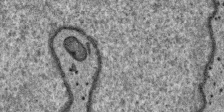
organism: Human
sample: Lung epithelial cells, uninfected (mock) control